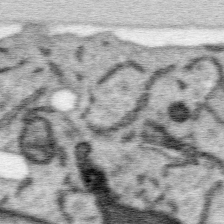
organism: Human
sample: HeLa cells